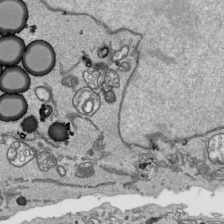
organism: Human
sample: Mitochondria in HCT116 cells